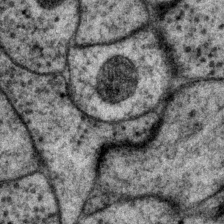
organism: P. pacificus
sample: Pharynx